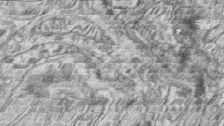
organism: Zebrafish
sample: synaptic ribbons in rod cells and cone cells